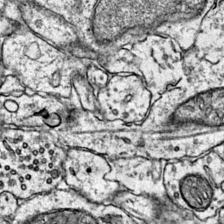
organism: Mouse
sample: Primary visual cortex